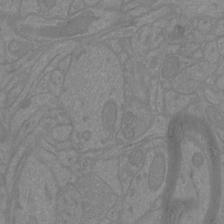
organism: Mouse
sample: Cortical neurons